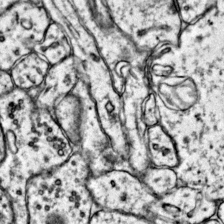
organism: Mouse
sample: Primary visual cortex